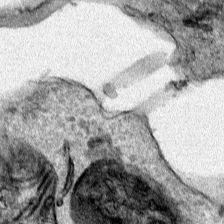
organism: Human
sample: Mitochondria in HCT116 cells